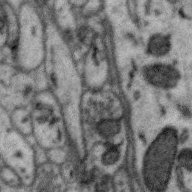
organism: Zebra finch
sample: Brain